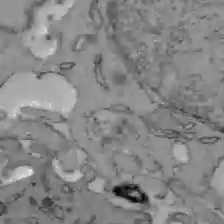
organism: C57BL Mouse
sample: Liver